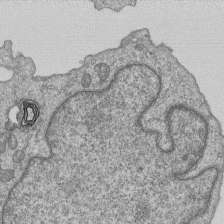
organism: Human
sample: MDA-MB-231 cells